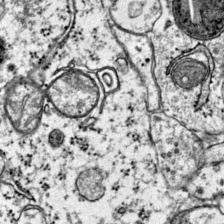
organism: Mouse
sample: Primary visual cortex